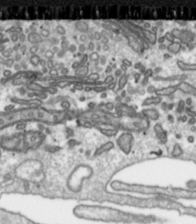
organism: Toxoplasma gondii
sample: Parasites in a vacuole inside a host cell